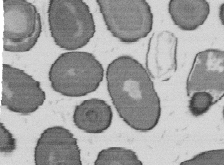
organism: B. subtilis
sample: Bacterial spore